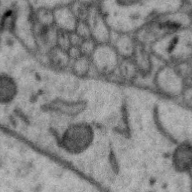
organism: Zebra finch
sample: Brain